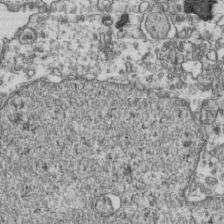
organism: Human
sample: Activated Jurkat CD4+ T cells